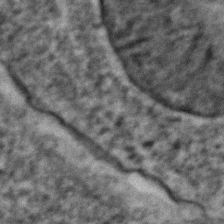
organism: Zebrafish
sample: Zebrafish embryo